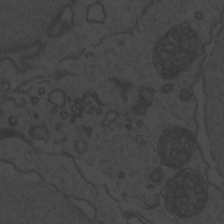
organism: Zebrafish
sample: Macrophage infected with Toxoplasma gondii